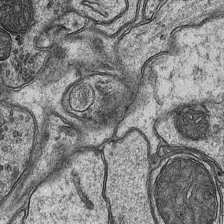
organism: Mouse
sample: CA1 Hippocampus